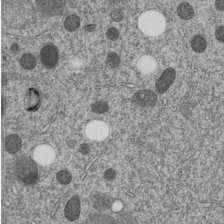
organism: C. elegans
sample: C. elegans embryo early stage